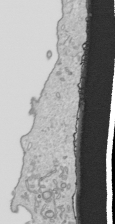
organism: Human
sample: Mitochondria in HCT116 cells